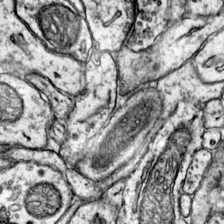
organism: Mouse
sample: Primary visual cortex